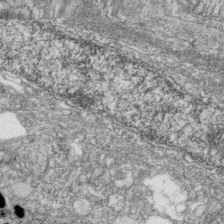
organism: Zebrafish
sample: Cilia; retinal pigment epithelium